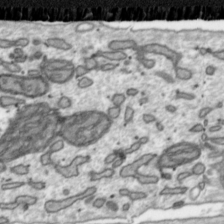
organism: Toxoplasma gondii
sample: Parasites in a vacuole inside a host cell